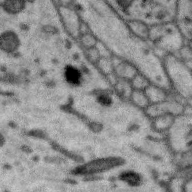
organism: Zebra finch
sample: Brain